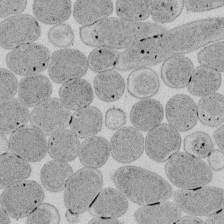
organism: E. coli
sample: Bacterial nucleoid